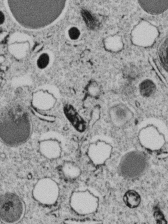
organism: C. elegans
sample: C. elegans embryo early stage